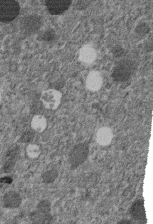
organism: C. elegans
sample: C. elegans embryo early stage